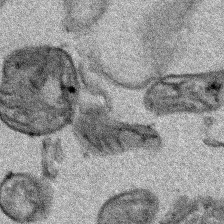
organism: Human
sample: Mitochondria in HCT116 cells